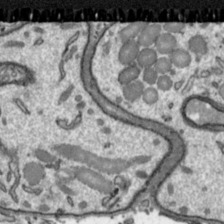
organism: Toxoplasma gondii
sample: Parasites in a vacuole inside a host cell